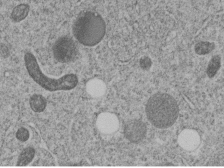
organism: C. elegans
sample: C. elegans embryo early stage